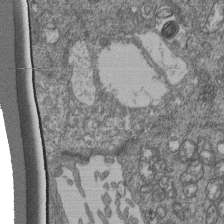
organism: Human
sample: Retinal organoid Rod and Cone cells